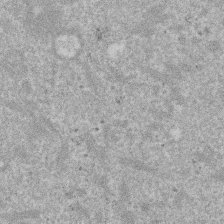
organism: Mouse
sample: Dividing mouse embryo 1 cell stage